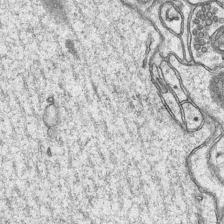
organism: Mouse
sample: CA1 Hippocampus